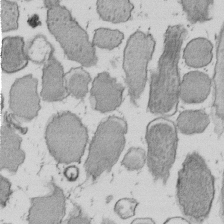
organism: E. coli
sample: Bacterial nucleoid